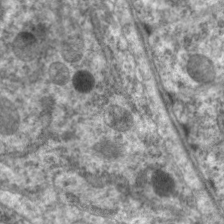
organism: C. elegans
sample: Pharynx